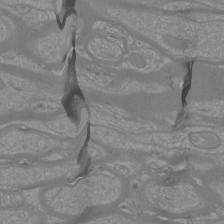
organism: Mouse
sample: Cortical neurons